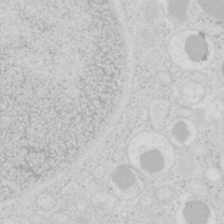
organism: Mouse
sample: Pancreas